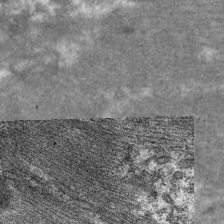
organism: C. elegans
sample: Pharynx